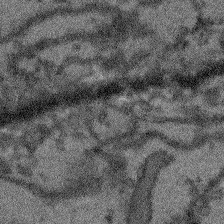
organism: Arabidopsis thaliana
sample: Root tip